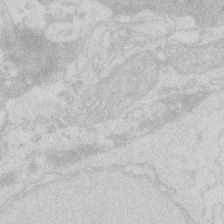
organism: Zebrafish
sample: Macrophage